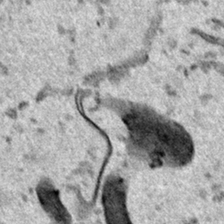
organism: Human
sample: Mitochondria in HCT116 cells